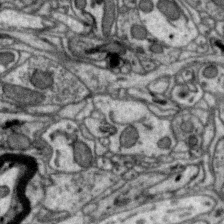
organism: Zebra finch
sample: Brain